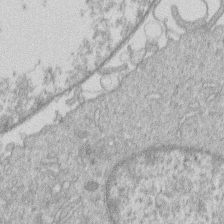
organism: Human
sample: Macrophage cells